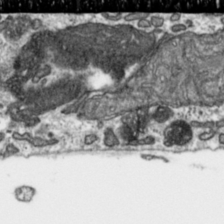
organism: Toxoplasma gondii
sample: Parasites in a vacuole inside a host cell